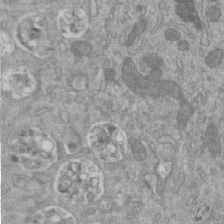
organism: Mouse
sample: ED-1 cell nuclei; centrioles